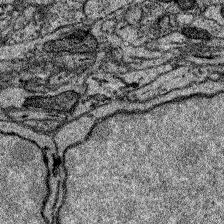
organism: Zebrafish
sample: Larval olfactory bulb